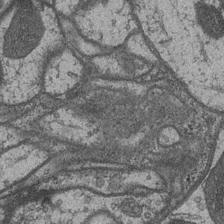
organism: Drosophila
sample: Optic medulla